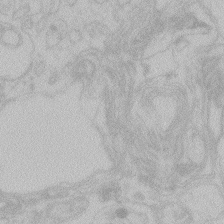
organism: Zebrafish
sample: Macrophage infected with Toxoplasma gondii